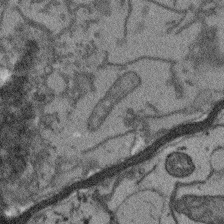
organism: Arabidopsis thaliana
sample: Root tip